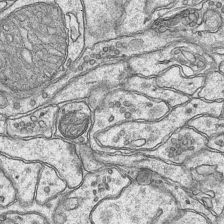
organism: Mouse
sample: CA1 Hippocampus